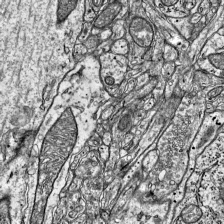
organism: Mouse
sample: Visual Cortex